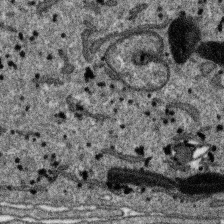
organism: Human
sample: Lung epithelial cells infected with SARS-CoV-2